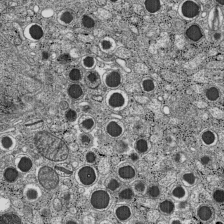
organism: C57BL Mouse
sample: Pancreatic islet